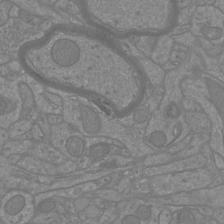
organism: Mouse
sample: Cortical neurons